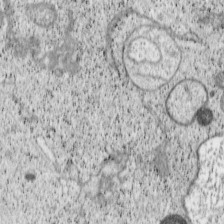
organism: African green monkey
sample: COS-7 cells